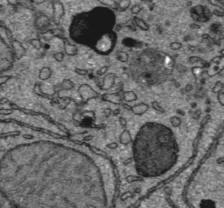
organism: C57BL Mouse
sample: Liver